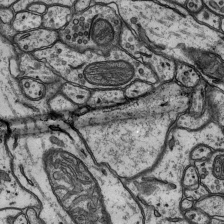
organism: Rat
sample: Hippocampus